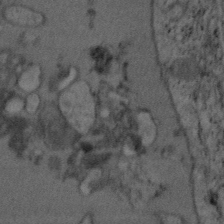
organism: Human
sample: HeLa cells